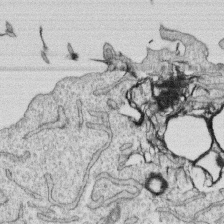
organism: Human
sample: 1205lu cells